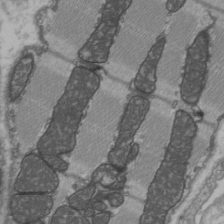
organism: C57BL Mouse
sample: Heart